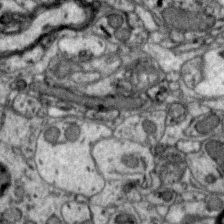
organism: Zebra finch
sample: Brain